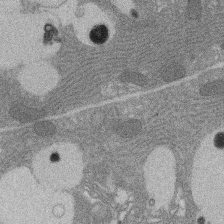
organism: Rat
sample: Salivary granule